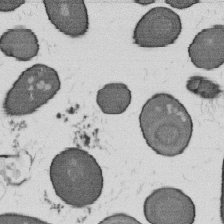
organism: B. subtilis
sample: Bacterial spore